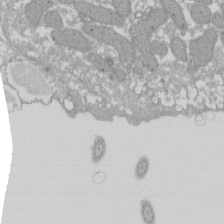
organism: Xenopus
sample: Cilia; centrioles in frog embryo cells